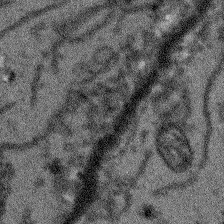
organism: Arabidopsis thaliana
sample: Root tip